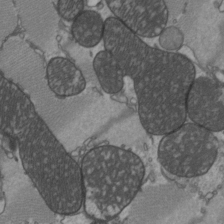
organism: C57BL Mouse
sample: Heart